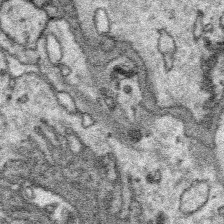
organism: Platynereis dumerilii